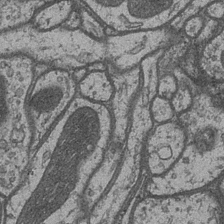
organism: Drosophila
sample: Optic medulla